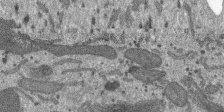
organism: Human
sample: Lung epithelial cells infected with SARS-CoV-2